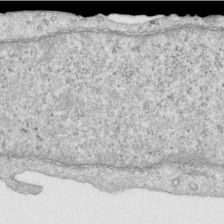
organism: Human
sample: Centriole in RPE cells